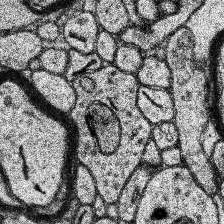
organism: Human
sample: Temporal Lobe